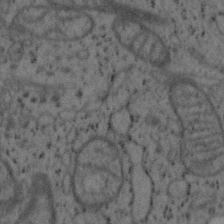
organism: Human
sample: HeLa cells